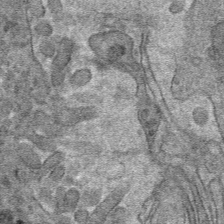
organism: Mouse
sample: Mouse hepatocytes